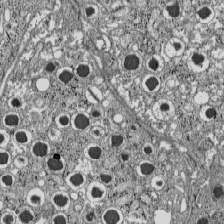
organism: C57BL Mouse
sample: Pancreatic islet